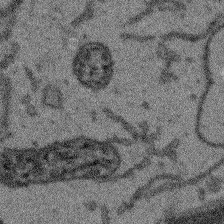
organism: Arabidopsis thaliana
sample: Root tip